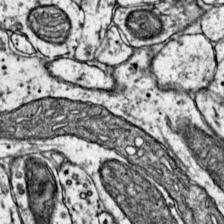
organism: Mouse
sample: Primary visual cortex